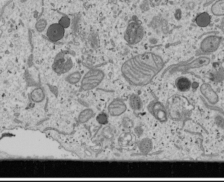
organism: Human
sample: Mitochondria in U2OS cells